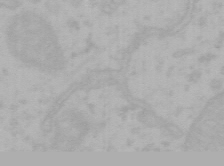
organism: Mouse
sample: Choroid plexus